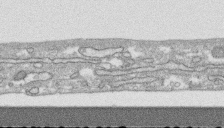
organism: Human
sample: CRL-1474